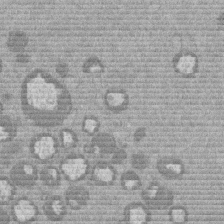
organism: Mouse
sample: Dividing mouse embryo 1 cell stage